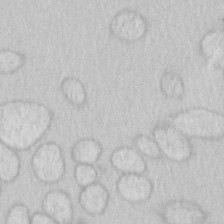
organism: Human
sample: HeLa cells